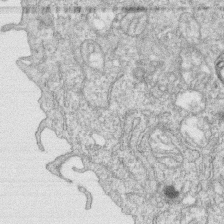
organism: Human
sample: HeLa cell HIV synapse